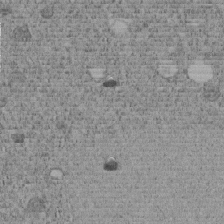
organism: C. elegans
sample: C. elegans embryo early stage